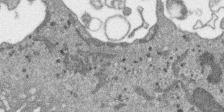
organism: Human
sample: Lung epithelial cells infected with SARS-CoV-2